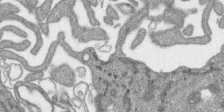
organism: Human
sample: Lung epithelial cells infected with SARS-CoV-2